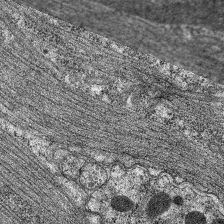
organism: C. elegans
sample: Pharynx